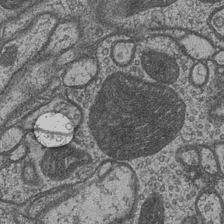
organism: Drosophila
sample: Optic medulla